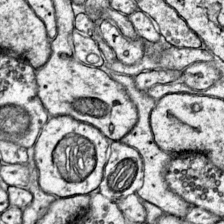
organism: Mouse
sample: Primary visual cortex